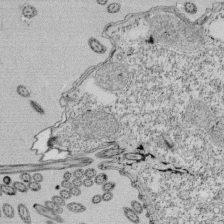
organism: Tetrahymena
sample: Cilia in tetrahymena